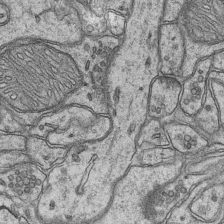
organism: Mouse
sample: CA1 Hippocampus